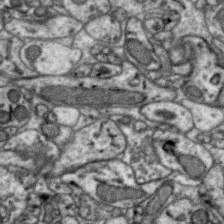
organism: Zebra finch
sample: Brain